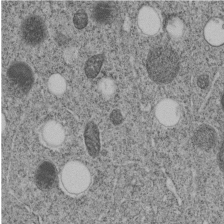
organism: C. elegans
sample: C. elegans embryo early stage